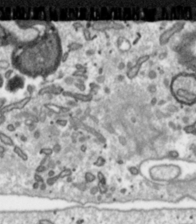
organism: Toxoplasma gondii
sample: Parasites in a vacuole inside a host cell